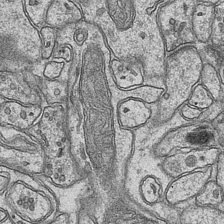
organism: Mouse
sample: CA1 Hippocampus